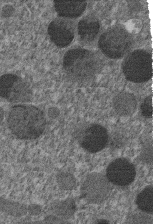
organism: C. elegans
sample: C. elegans embryo early stage